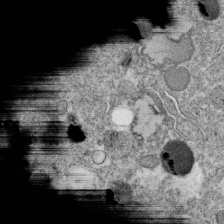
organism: C. elegans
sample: C. elegans oocyte; sperm cells